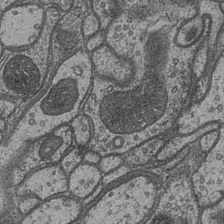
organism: Drosophila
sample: Optic medulla